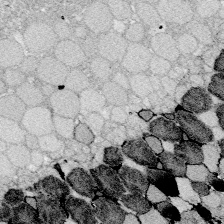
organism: Zebrafish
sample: Whole-Brain